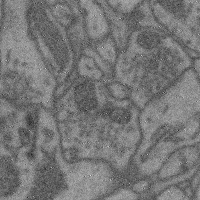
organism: Mouse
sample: Cerebral cortex